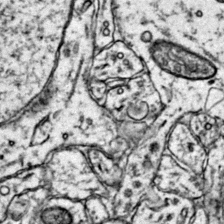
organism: Mouse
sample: Primary visual cortex